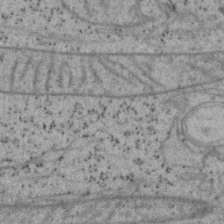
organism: Human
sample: HeLa cells